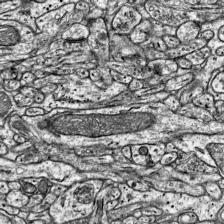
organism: Mouse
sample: Visual Cortex